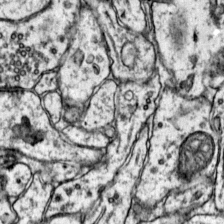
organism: Mouse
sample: Primary visual cortex